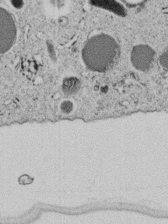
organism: C. elegans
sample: C. elegans embryo early stage